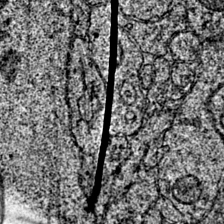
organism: Mouse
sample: Primary visual cortex